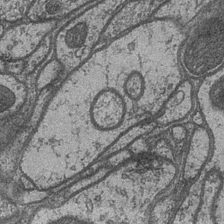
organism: Drosophila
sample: Optic medulla